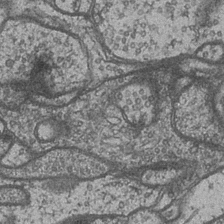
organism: Drosophila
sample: Optic medulla